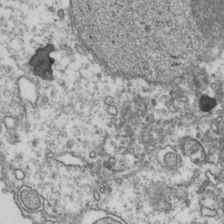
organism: Human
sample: Activated Jurkat CD4+ T cells